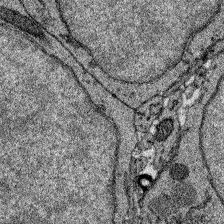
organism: Zebrafish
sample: Larval olfactory bulb